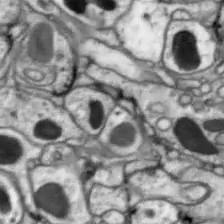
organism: Drosophila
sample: Optic lobe